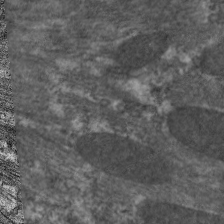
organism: C. elegans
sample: Pharynx